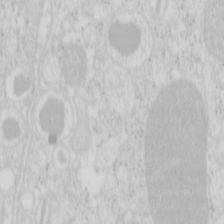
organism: Mouse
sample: Pancreas